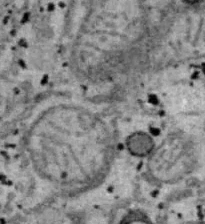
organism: Mouse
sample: Liver from an obese (ob/ob) mouse